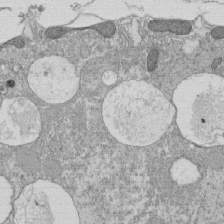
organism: Tetrahymena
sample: Cilia in tetrahymena